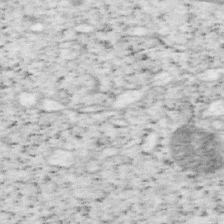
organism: Mouse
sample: OT-I killer T cells with ID8 ovarian cancer cells